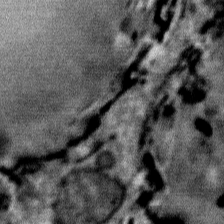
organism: Mouse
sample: Mouse Salivary gland